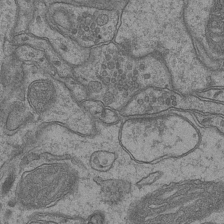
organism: Mouse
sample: CA1 Hippocampus